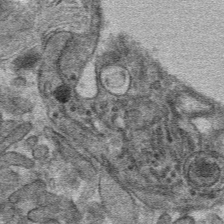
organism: Mouse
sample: Mouse hepatocytes